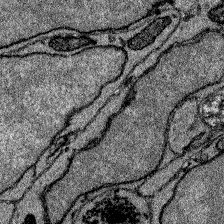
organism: Zebrafish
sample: Larval olfactory bulb